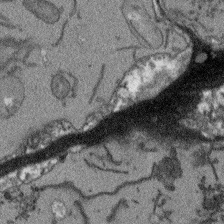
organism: Arabidopsis thaliana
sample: Root tip